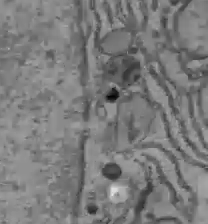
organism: C57BL Mouse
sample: Liver